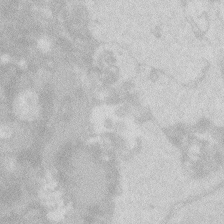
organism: Zebrafish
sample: Macrophage